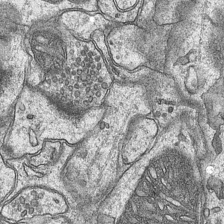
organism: Mouse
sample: CA1 Hippocampus